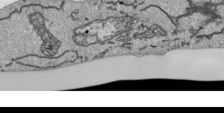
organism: Human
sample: Mitochondria in HCT116 cells